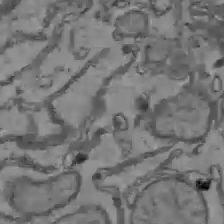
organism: C57BL Mouse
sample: Liver